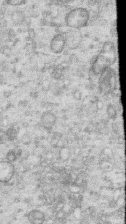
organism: Human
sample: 1205lu cells